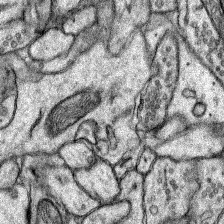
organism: Rat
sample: Hippocampus